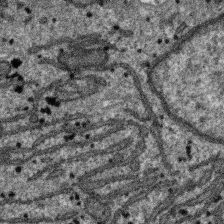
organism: Human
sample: Lung epithelial cells infected with SARS-CoV-2